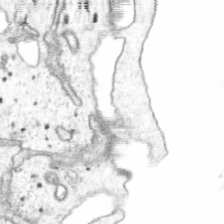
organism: Human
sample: HeLa cells